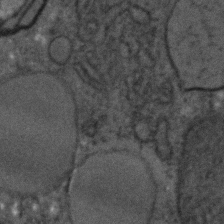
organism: C. elegans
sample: C. elegans embryo